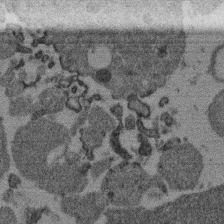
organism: Mouse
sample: Dividing mouse embryo 1 cell stage